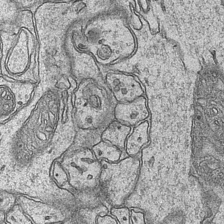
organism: Mouse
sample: CA1 Hippocampus